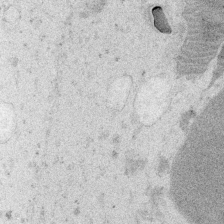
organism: Embia sp.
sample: Silk gland